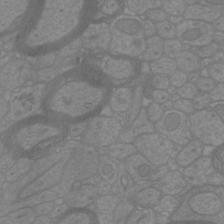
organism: Mouse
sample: Cortical neurons